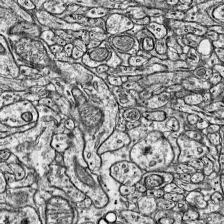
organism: Mouse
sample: Visual Cortex